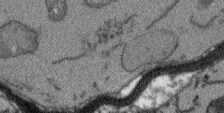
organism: Arabidopsis thaliana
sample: Root tip